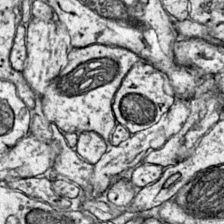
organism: Mouse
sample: Primary visual cortex